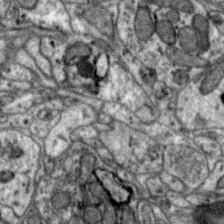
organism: Zebra finch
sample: Brain